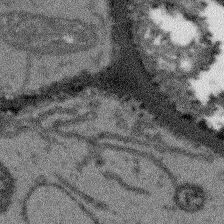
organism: Arabidopsis thaliana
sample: Root tip